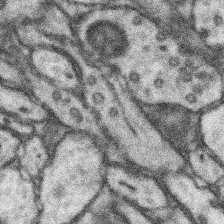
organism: Mouse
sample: Somatosensory cortex neuropil